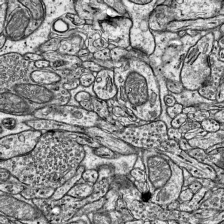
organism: Mouse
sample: Visual Cortex